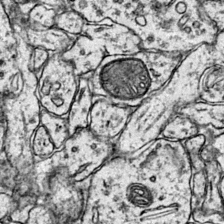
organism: Mouse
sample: Primary visual cortex